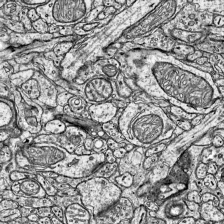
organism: Mouse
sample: Visual Cortex